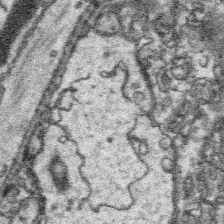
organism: Platynereis dumerilii